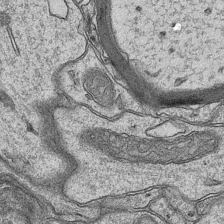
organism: Mouse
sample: CA1 Hippocampus